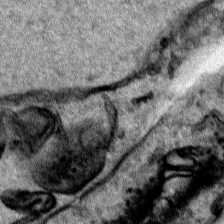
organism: Human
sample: Mitochondria in HCT116 cells